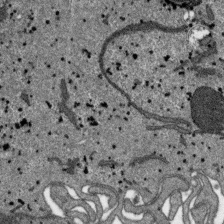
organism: Human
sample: Lung epithelial cells, uninfected (mock) control